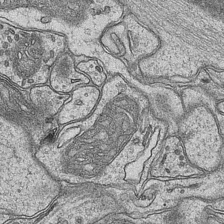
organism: Mouse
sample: CA1 Hippocampus